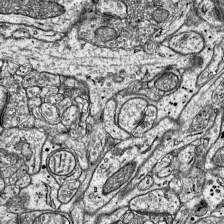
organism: Mouse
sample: Visual Cortex